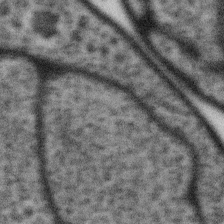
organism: Gemmata obscuriglobus